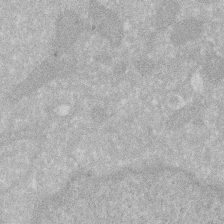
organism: Human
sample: HIV infected U937 cells